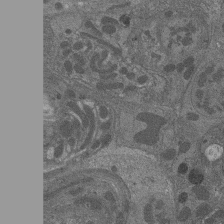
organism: Drosophila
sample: Antenna